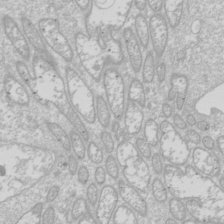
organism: Drosophila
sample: Cell division; meiosis; drosophila spermatocytes